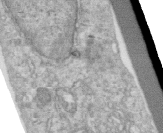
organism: Human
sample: Centriole in RPE cells